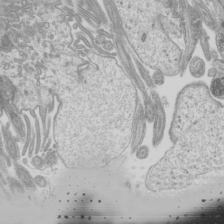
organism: Mouse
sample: Cilia; mouse epididymis